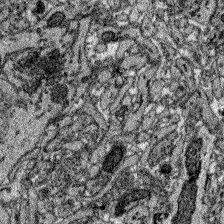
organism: Zebrafish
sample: Larval olfactory bulb